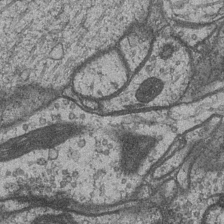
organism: Drosophila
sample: Optic medulla